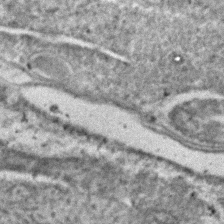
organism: C. elegans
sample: C. elegans embryo